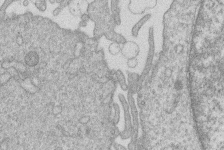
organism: Human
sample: Macrophage cells